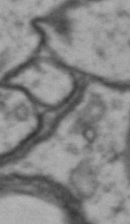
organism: Drosophila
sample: Brain